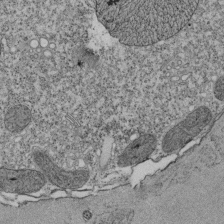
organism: Tetrahymena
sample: Cilia in tetrahymena